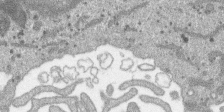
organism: Human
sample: Lung epithelial cells infected with SARS-CoV-2